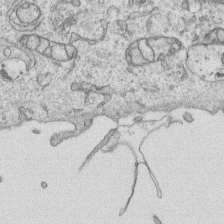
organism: Human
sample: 1205lu cells